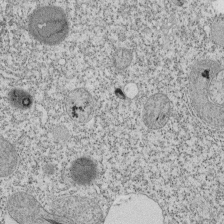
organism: Tetrahymena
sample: Cilia in tetrahymena